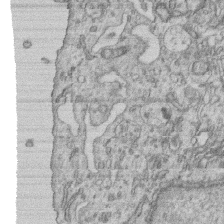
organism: Human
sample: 1205lu cells